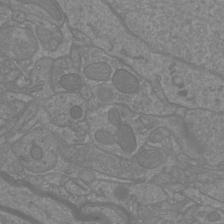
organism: Mouse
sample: Cortical neurons